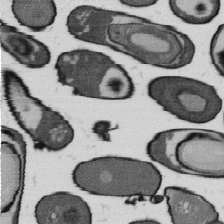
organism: B. subtilis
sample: Bacterial spore